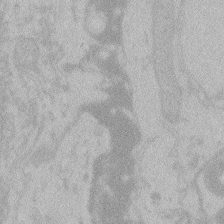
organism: Zebrafish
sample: Macrophage infected with Toxoplasma gondii